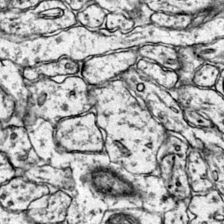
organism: Mouse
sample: Primary visual cortex